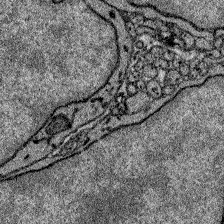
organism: Zebrafish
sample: Larval olfactory bulb